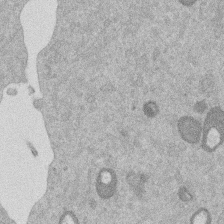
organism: Mouse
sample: Dividing mouse embryo 1 cell stage